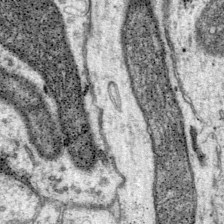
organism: Mouse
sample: Primary visual cortex